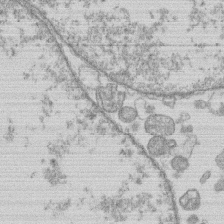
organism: Human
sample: Macrophage cells